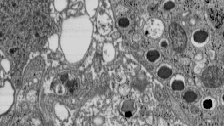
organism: C57BL Mouse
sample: Pancreatic islet